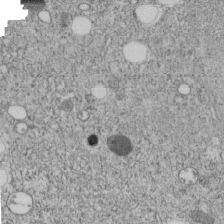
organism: C. elegans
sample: C. elegans embryo early stage